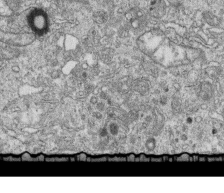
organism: Human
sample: HeLa cell HIV synapse